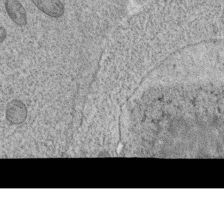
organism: C. elegans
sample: C. elegans oocyte; sperm cells